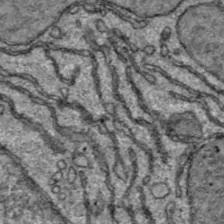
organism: C57BL Mouse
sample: Liver